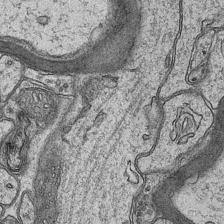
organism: Mouse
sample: CA1 Hippocampus